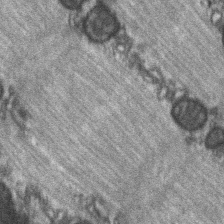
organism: C57BL Mouse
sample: Soleus